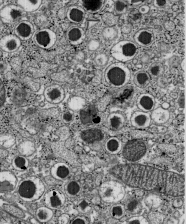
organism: C57BL Mouse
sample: Pancreatic islet